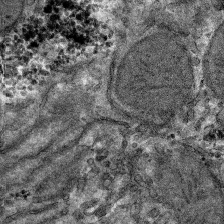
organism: Mouse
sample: Mouse hepatocytes